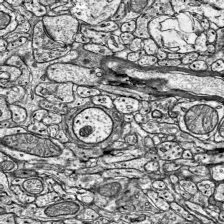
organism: Mouse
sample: Visual Cortex